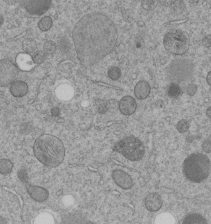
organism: C. elegans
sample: C. elegans embryo early stage